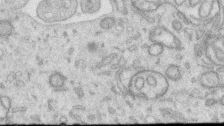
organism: Human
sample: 1205lu cells